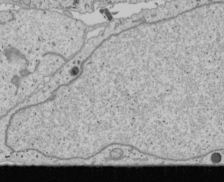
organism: Human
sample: Mitochondria in U2OS cells